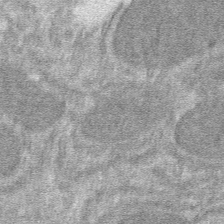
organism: Mouse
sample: Mouse hepatocytes